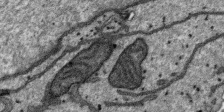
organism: Human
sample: Lung epithelial cells, uninfected (mock) control